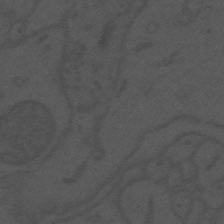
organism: Mouse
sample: Suprachiasmatic nucleus